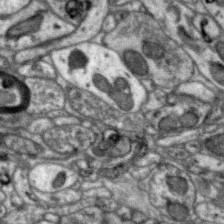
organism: Zebra finch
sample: Brain